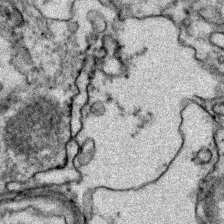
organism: Zebrafish